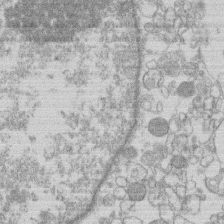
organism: Human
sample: Macrophage cells